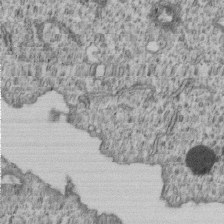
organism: Human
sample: MDA-MB-231 cells